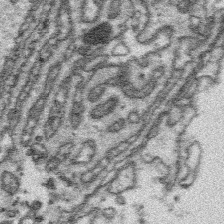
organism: Platynereis dumerilii